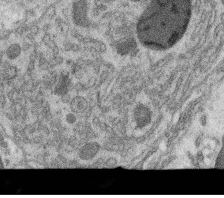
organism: C. elegans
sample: C. elegans oocyte; sperm cells